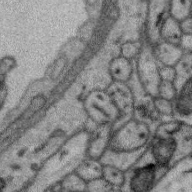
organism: Zebra finch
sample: Brain